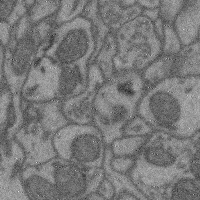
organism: Mouse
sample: Cerebral cortex